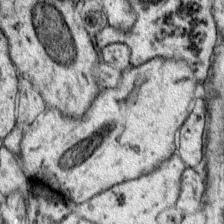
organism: Mouse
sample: Primary visual cortex